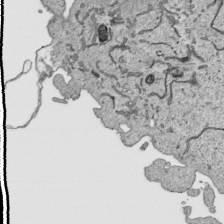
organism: Human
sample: Mitochondria in HCT116 cells